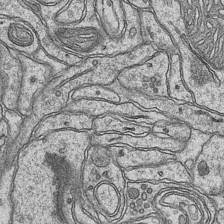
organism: Mouse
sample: CA1 Hippocampus